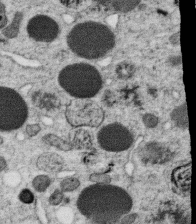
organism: C. elegans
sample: C. elegans oocyte; sperm cells